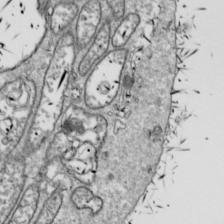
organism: Drosophila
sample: Cell division; meiosis; drosophila spermatocytes